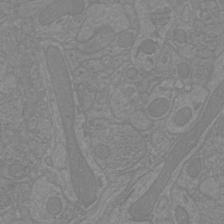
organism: Mouse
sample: Cortical neurons